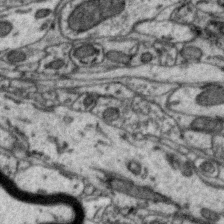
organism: Zebra finch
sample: Brain